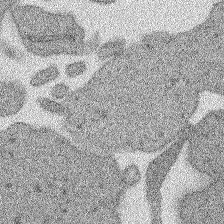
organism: Human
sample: HeLa cells